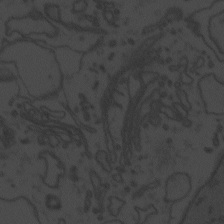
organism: Zebrafish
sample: Macrophage infected with Toxoplasma gondii